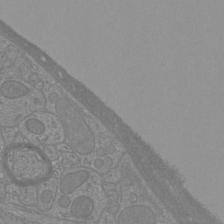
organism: Mouse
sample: Cortical neurons